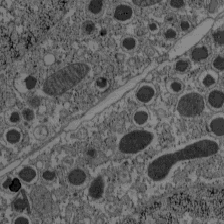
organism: C57BL Mouse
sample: Pancreatic islet